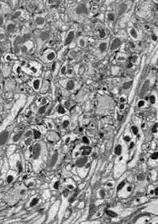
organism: Drosophila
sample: Optic lobe